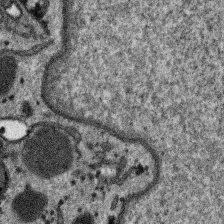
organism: Human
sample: Lung epithelial cells infected with SARS-CoV-2